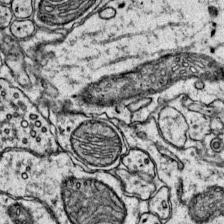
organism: Mouse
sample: Primary visual cortex